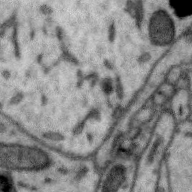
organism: Zebra finch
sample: Brain